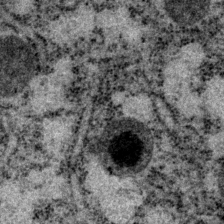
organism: P. pacificus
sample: Pharynx